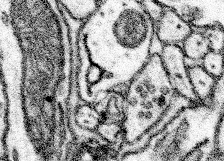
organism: Mouse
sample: Somatosensory cortex neuropil